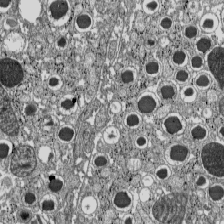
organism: C57BL Mouse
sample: Pancreatic islet